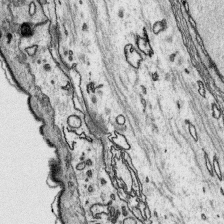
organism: Platynereis dumerilii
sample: Parapodia